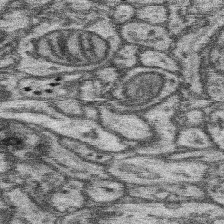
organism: Mouse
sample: Somatosensory cortex neuropil